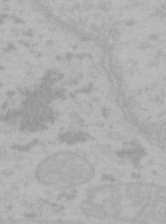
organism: Mouse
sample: Choroid plexus